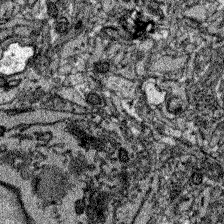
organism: Zebrafish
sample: Larval olfactory bulb